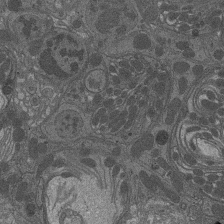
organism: Drosophila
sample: Antenna